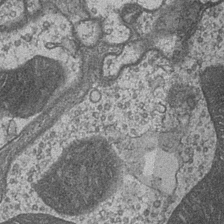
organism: Drosophila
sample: Optic medulla